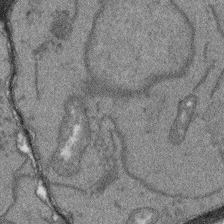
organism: Arabidopsis thaliana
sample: Root tip